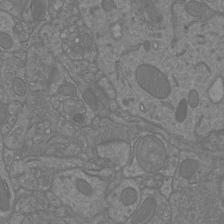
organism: Mouse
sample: Cortical neurons